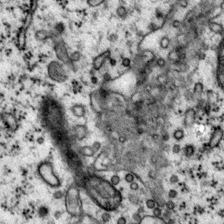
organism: Mouse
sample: Primary visual cortex